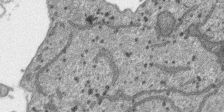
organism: Human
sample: Lung epithelial cells infected with SARS-CoV-2